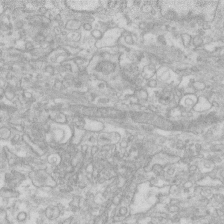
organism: Human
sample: Fibroblast cells